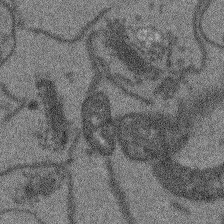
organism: Arabidopsis thaliana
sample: Root tip